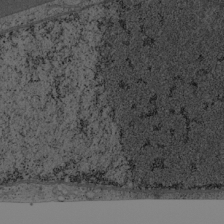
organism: African green monkey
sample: COS-7 cells